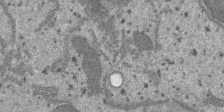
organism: Human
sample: Lung epithelial cells infected with SARS-CoV-2